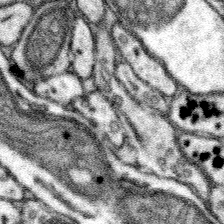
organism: Mouse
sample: Somatosensory cortex neuropil